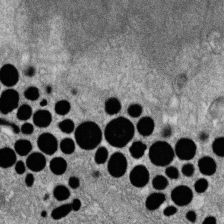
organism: Zebrafish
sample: Cilia; retinal pigment epithelium